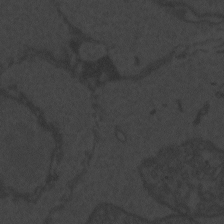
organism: Zebrafish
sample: Macrophage infected with Toxoplasma gondii